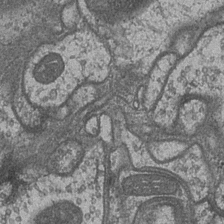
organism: Drosophila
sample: Optic medulla